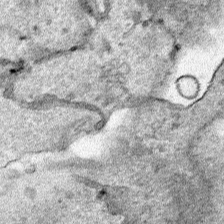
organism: Human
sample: Mitochondria in HCT116 cells